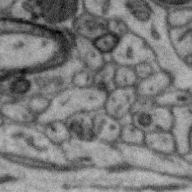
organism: Zebra finch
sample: Brain